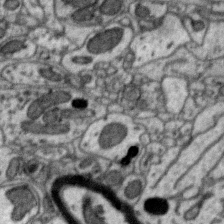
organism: Zebra finch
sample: Brain